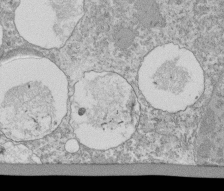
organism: Tetrahymena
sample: Cilia in tetrahymena